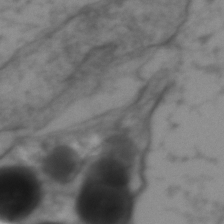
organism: Zebrafish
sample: Zebrafish embryo